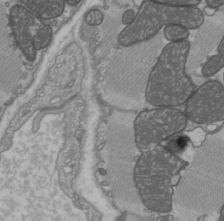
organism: C57BL Mouse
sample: Heart